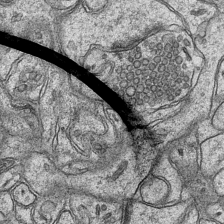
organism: Mouse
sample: CA1 Hippocampus